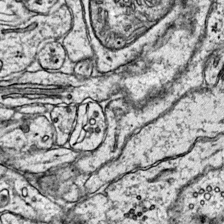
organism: Mouse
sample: Primary visual cortex